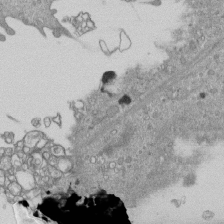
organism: Mouse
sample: ED-1 cell nuclei; centrioles